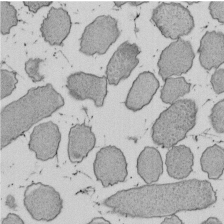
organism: E. coli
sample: Bacterial nucleoid